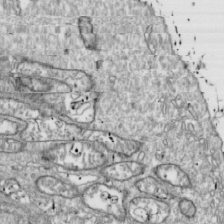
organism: Drosophila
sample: Cell division; meiosis; drosophila spermatocytes